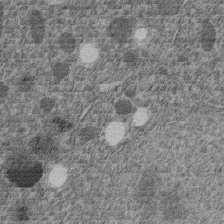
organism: C. elegans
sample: C. elegans embryo early stage